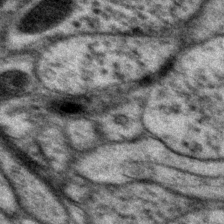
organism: P. pacificus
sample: Pharynx